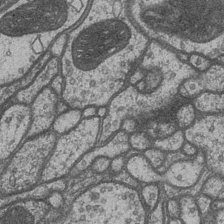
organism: Drosophila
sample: Optic medulla